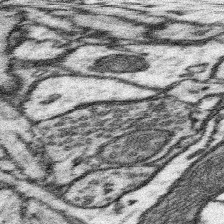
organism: Mouse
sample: Somatosensory cortex neuropil